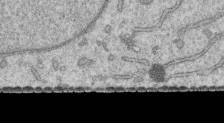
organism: Human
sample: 1205lu cells